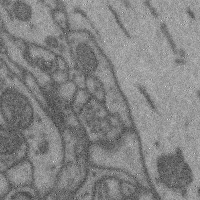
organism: Mouse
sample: Cerebral cortex